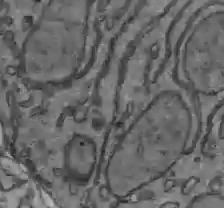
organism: C57BL Mouse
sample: Liver